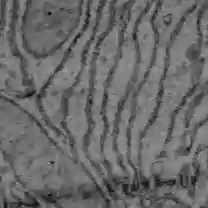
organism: C57BL Mouse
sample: Liver